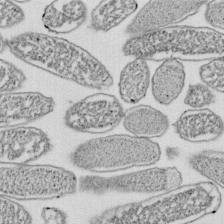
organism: E. coli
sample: Bacterial nucleoid